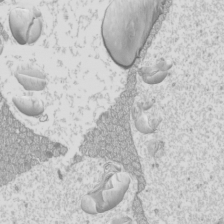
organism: Mouse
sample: Cilia; mouse epididymis